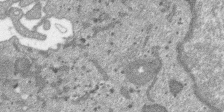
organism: Human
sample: Lung epithelial cells infected with SARS-CoV-2